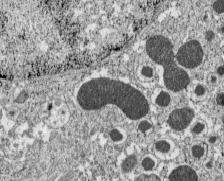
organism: C57BL Mouse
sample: Pancreatic islet